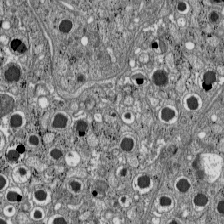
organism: C57BL Mouse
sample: Pancreatic islet